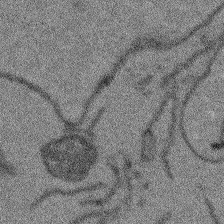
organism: Arabidopsis thaliana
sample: Root tip